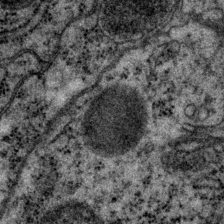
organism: P. pacificus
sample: Pharynx